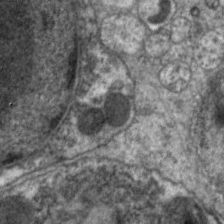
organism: C. elegans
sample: Pharynx